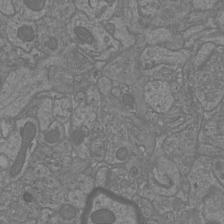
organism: Mouse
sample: Cortical neurons